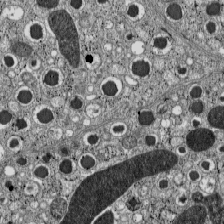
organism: C57BL Mouse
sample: Pancreatic islet